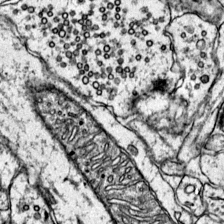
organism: Mouse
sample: Primary visual cortex